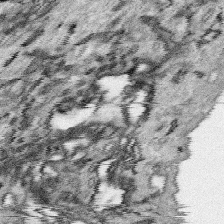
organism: Human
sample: HeLa cells